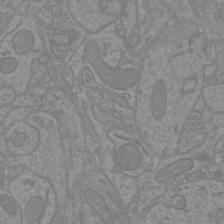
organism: Mouse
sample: Cortical neurons